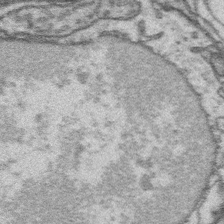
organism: Platynereis dumerilii